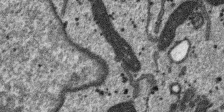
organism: Human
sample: Lung epithelial cells infected with SARS-CoV-2